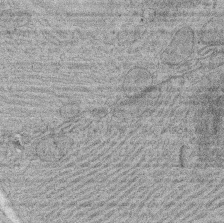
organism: Rat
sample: Salivary granule